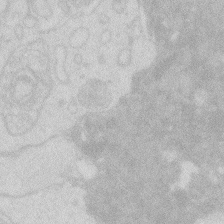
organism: Zebrafish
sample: Macrophage